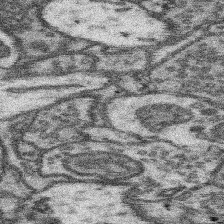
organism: Mouse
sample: Somatosensory cortex neuropil